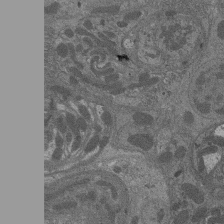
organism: Drosophila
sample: Antenna